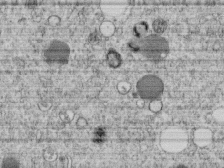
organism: C. elegans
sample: C. elegans embryo early stage